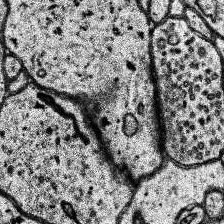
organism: Human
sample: Temporal Lobe